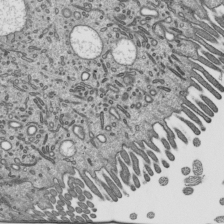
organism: Mouse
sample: Mouse epididymis efferent ductule cilia